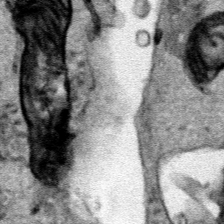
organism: Human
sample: Mitochondria in HCT116 cells